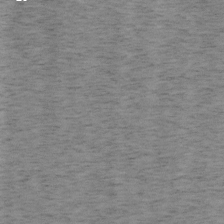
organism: Mouse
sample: OT-I killer T cells with ID8 ovarian cancer cells